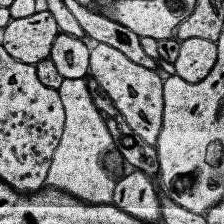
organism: Human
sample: Temporal Lobe